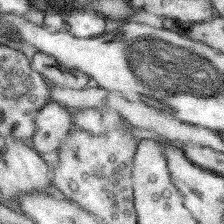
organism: Mouse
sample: Somatosensory cortex neuropil